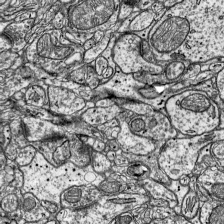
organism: Mouse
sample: Visual Cortex